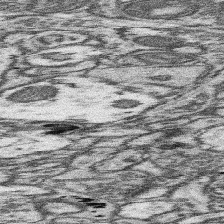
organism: Mouse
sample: Somatosensory cortex neuropil